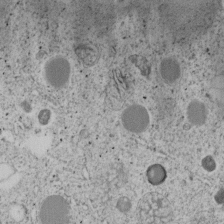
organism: C. elegans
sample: C. elegans embryo early stage